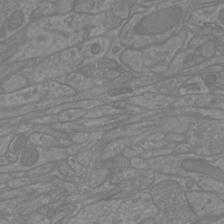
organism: Mouse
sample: Cortical neurons